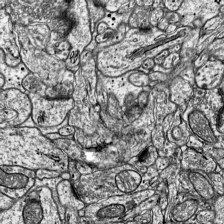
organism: Mouse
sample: Visual Cortex